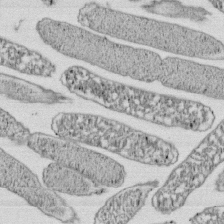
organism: E. coli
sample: Bacterial nucleoid